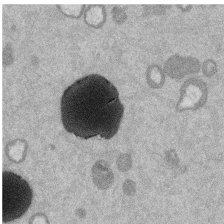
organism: Mouse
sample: Dividing mouse embryo 1 cell stage